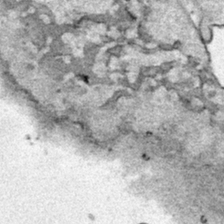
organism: Human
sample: Mitochondria in HCT116 cells